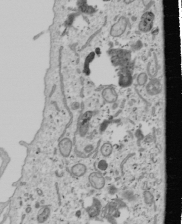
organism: Human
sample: Mitochondria in U2OS cells